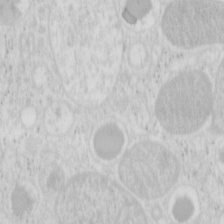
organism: Mouse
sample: Pancreas